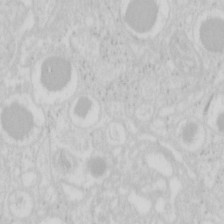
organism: Mouse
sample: Pancreas